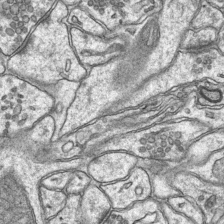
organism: Mouse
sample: CA1 Hippocampus